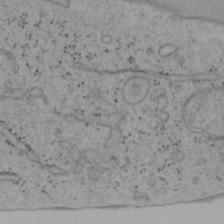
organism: Human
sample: HeLa cells